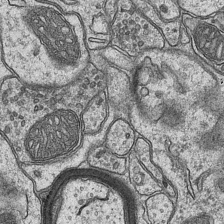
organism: Mouse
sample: CA1 Hippocampus